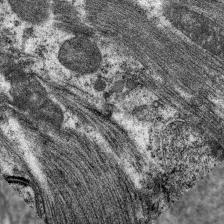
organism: C. elegans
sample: Pharynx